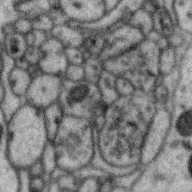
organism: Zebra finch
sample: Brain